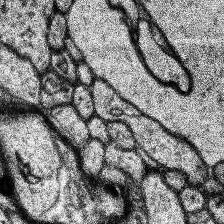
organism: Human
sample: Temporal Lobe